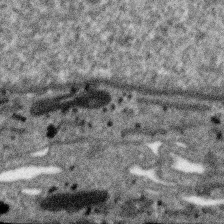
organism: Human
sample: Lung epithelial cells infected with SARS-CoV-2